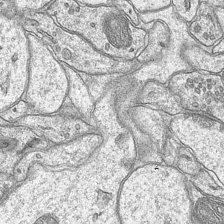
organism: Mouse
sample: CA1 Hippocampus